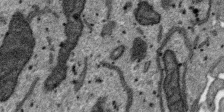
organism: Human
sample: Lung epithelial cells, uninfected (mock) control